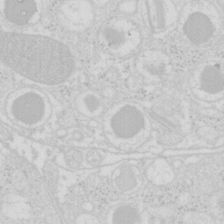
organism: Mouse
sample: Pancreas